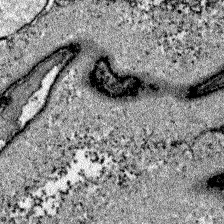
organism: Zebrafish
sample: Larval olfactory bulb